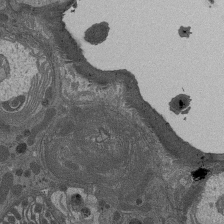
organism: Drosophila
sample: Antenna